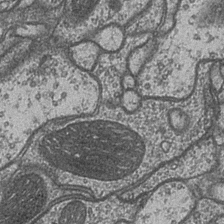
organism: Drosophila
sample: Optic medulla